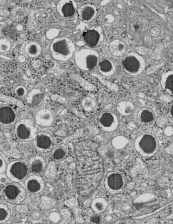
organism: C57BL Mouse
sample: Pancreatic islet